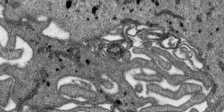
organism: Human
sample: Lung epithelial cells, uninfected (mock) control